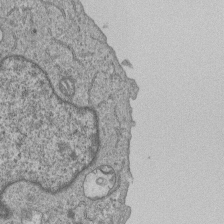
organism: Human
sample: MDA-MB-231 cells